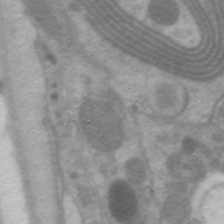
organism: C. elegans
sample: Pharynx